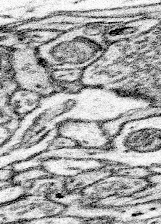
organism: Mouse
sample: Somatosensory cortex neuropil